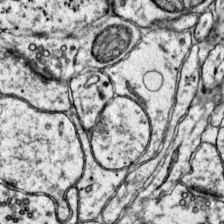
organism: Mouse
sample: Primary visual cortex